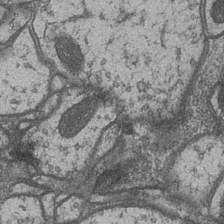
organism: Drosophila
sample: Optic medulla